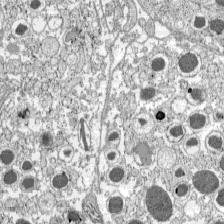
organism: C57BL Mouse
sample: Pancreatic islet